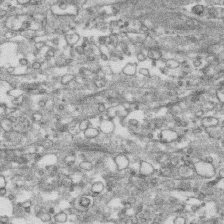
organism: Human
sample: CRL-1474